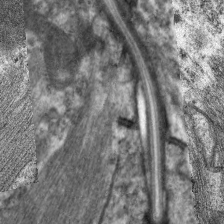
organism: C. elegans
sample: Pharynx